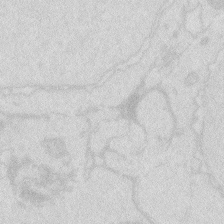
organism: Zebrafish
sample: Macrophage